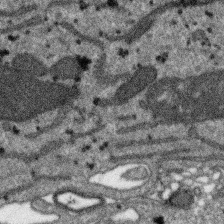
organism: Human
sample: Lung epithelial cells infected with SARS-CoV-2